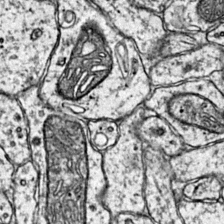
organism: Mouse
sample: Primary visual cortex